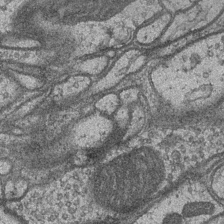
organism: Drosophila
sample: Optic medulla